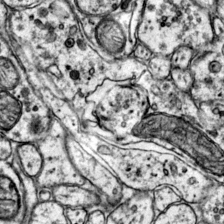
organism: Mouse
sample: Primary visual cortex